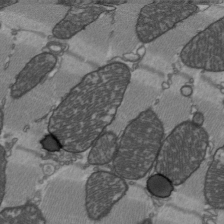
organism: C57BL Mouse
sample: Heart